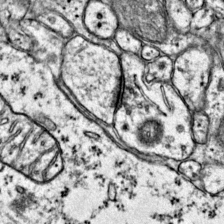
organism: Mouse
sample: Primary visual cortex